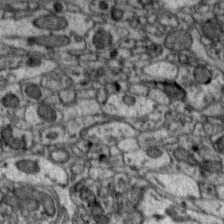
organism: Zebra finch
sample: Brain